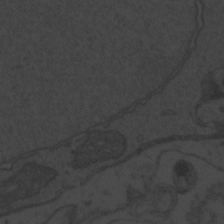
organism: Zebrafish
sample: Macrophage infected with Toxoplasma gondii